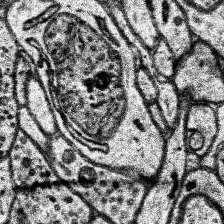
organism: Human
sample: Temporal Lobe